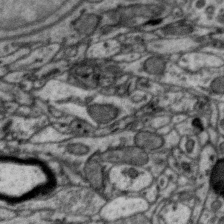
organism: Zebra finch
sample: Brain